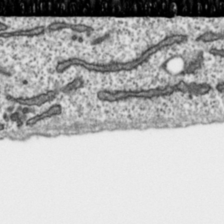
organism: Toxoplasma gondii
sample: Parasites in a vacuole inside a host cell